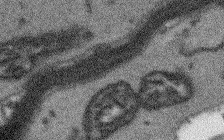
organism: Arabidopsis thaliana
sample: Root tip